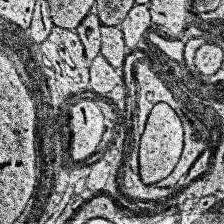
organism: Human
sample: Temporal Lobe